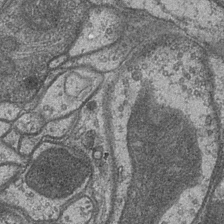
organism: Drosophila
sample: Optic medulla